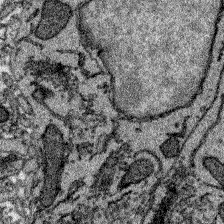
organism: Zebrafish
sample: Larval olfactory bulb